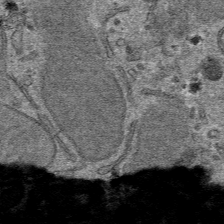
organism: Mouse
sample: Mouse hepatocytes